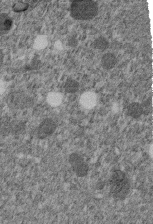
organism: C. elegans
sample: C. elegans embryo early stage